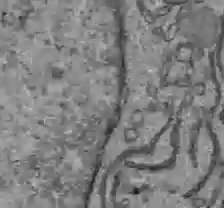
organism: C57BL Mouse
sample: Liver